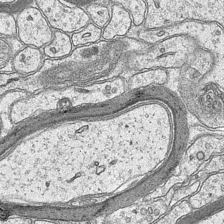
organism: Mouse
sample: CA1 Hippocampus